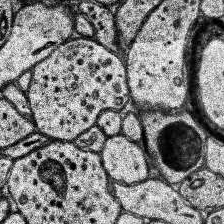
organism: Human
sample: Temporal Lobe